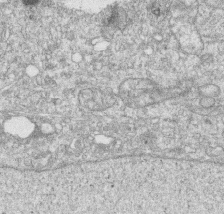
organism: Human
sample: HeLa cell HIV synapse